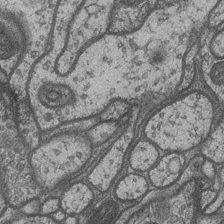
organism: Drosophila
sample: Optic medulla